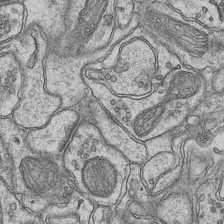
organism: Mouse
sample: CA1 Hippocampus